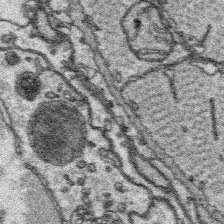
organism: Platynereis dumerilii